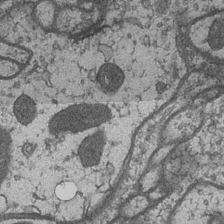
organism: Drosophila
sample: Optic medulla